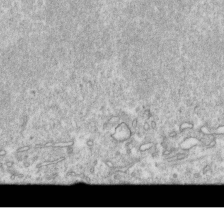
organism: Mouse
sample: Activated OT-1 CD8+ T cells